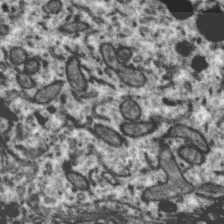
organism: Zebra finch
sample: Brain